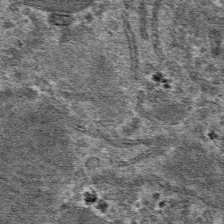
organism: Mouse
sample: Mouse hepatocytes